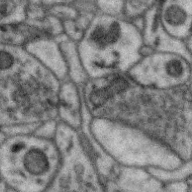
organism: Zebra finch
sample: Brain